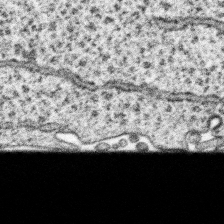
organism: Human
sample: HeLa cells